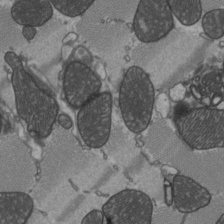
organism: C57BL Mouse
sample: Heart